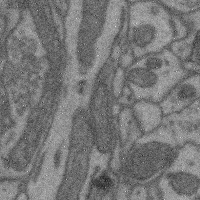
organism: Mouse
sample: Cerebral cortex